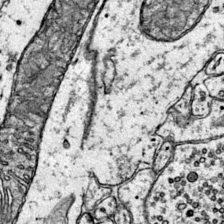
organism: Mouse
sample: Primary visual cortex